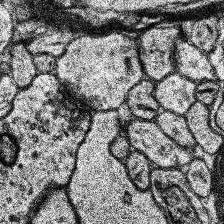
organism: Human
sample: Temporal Lobe